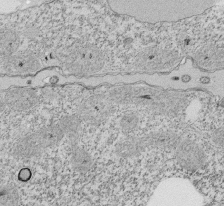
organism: Tetrahymena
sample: Cilia in tetrahymena